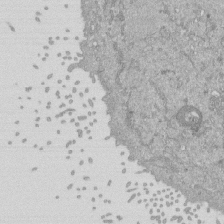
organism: Mouse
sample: ED-1 cell nuclei; centrioles